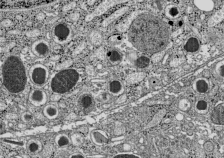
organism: C57BL Mouse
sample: Pancreatic islet